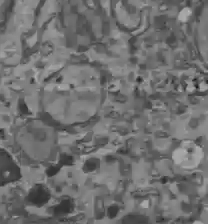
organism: C57BL Mouse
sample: Liver